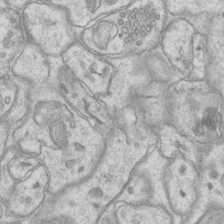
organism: Mouse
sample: CA1 Hippocampus